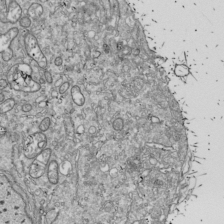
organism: Drosophila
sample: Cell division; meiosis; drosophila spermatocytes